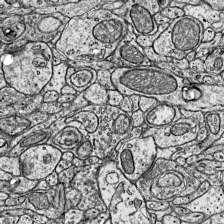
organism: Mouse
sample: Visual Cortex